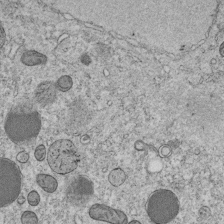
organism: C. elegans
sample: C. elegans embryo early stage